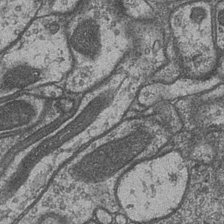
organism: Drosophila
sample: Optic medulla